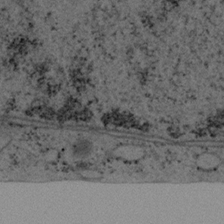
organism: Human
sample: HeLa cells